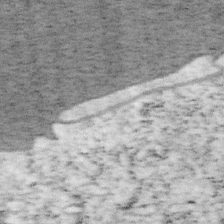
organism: Mouse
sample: OT-I killer T cells with ID8 ovarian cancer cells